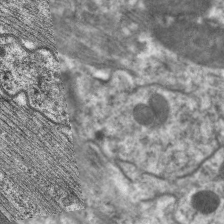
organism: C. elegans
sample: Pharynx